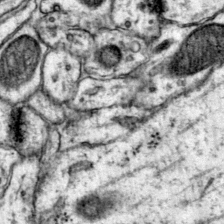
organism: Mouse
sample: Primary visual cortex